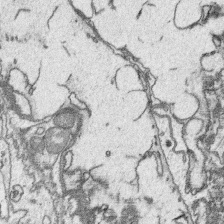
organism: Platynereis dumerilii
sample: Parapodia